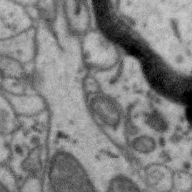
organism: Zebra finch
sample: Brain